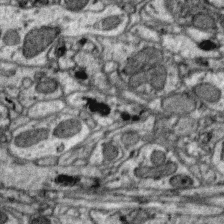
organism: Zebra finch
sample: Brain